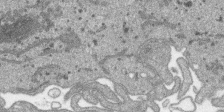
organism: Human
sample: Lung epithelial cells infected with SARS-CoV-2